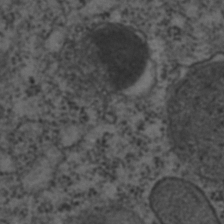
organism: C. elegans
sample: C. elegans embryo